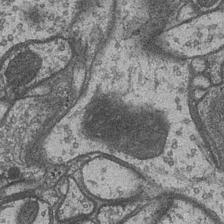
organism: Drosophila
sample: Optic medulla